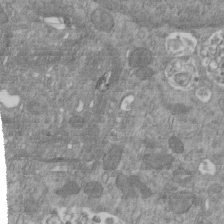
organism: Mouse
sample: ED-1 cell nuclei; centrioles